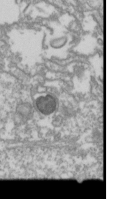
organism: Drosophila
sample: Cell division; meiosis; drosophila spermatocytes